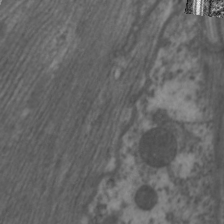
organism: C. elegans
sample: Pharynx